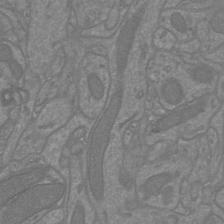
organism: Mouse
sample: Cortical neurons